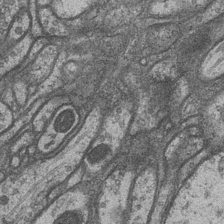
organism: Drosophila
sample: Optic medulla